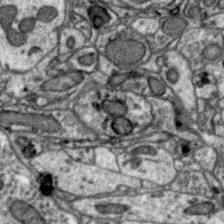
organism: Zebra finch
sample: Brain